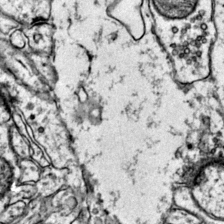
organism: Mouse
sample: Primary visual cortex